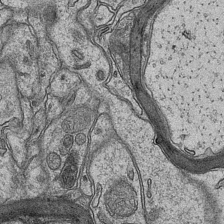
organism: Mouse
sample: CA1 Hippocampus